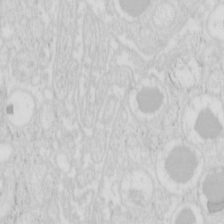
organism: Mouse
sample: Pancreas